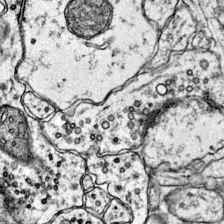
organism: Mouse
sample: Primary visual cortex